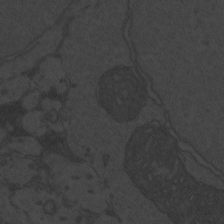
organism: Zebrafish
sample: Macrophage infected with Toxoplasma gondii